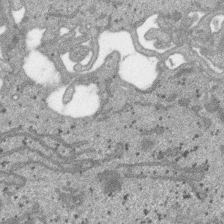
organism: Human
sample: Lung epithelial cells infected with SARS-CoV-2